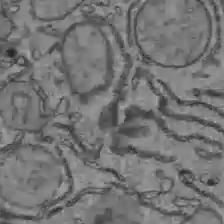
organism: C57BL Mouse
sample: Liver